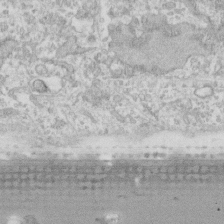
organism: Human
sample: Fibroblast cells